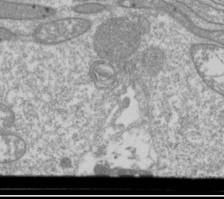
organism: Drosophila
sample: Cell division; meiosis; drosophila spermatocytes